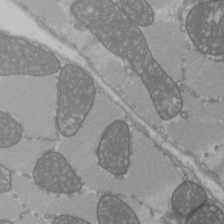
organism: C57BL Mouse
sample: Heart